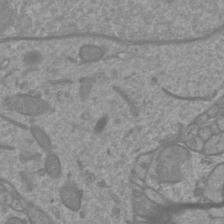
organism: Mouse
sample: Cortical neurons